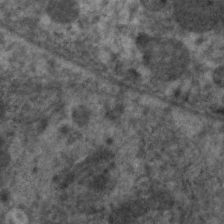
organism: C. elegans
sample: Pharynx